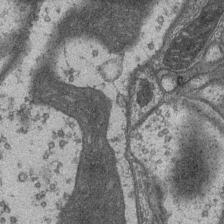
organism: Drosophila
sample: Optic medulla